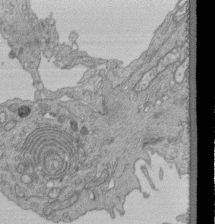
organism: Human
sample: Retinal organoid Rod and Cone cells